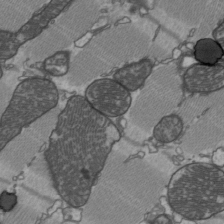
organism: C57BL Mouse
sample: Heart